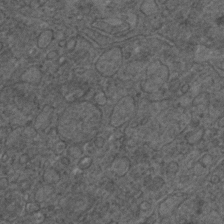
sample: Trachea